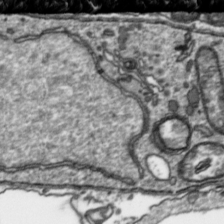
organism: Toxoplasma gondii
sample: Parasites in a vacuole inside a host cell